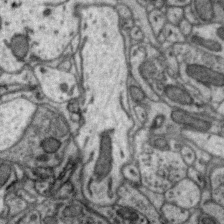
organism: Zebra finch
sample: Brain